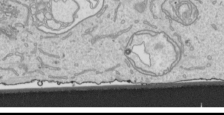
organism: Human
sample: Mitochondria in HCT116 cells